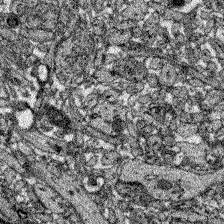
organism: Zebrafish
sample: Larval olfactory bulb